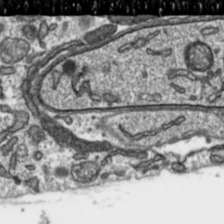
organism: Toxoplasma gondii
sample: Parasites in a vacuole inside a host cell